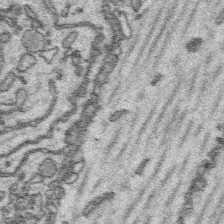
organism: Platynereis dumerilii